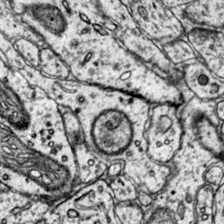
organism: Mouse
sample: Primary visual cortex